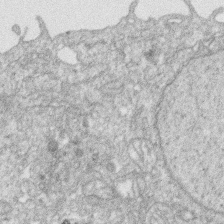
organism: Human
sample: HeLa cell HIV synapse